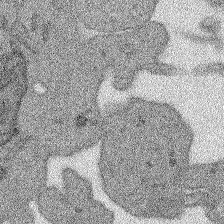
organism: Human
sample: HeLa cells